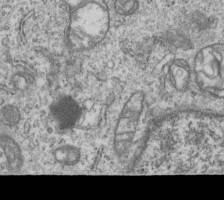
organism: Human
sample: MDA-MB-231 cells